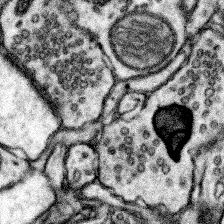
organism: Mouse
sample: Somatosensory cortex neuropil